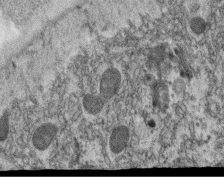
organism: C. elegans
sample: C. elegans oocyte; sperm cells